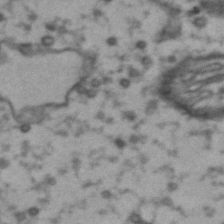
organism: Drosophila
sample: Brain